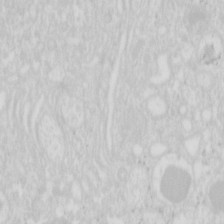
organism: Mouse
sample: Pancreas